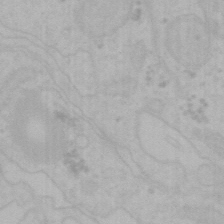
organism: Mouse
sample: Choroid plexus